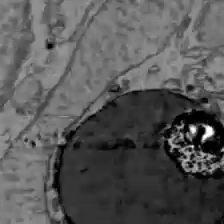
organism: C57BL Mouse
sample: Liver